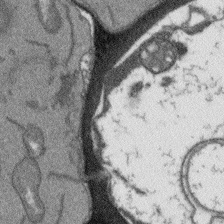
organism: Arabidopsis thaliana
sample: Root tip